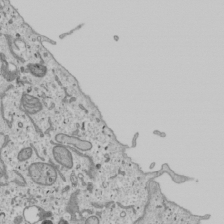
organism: Human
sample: Mitochondria in U2OS cells